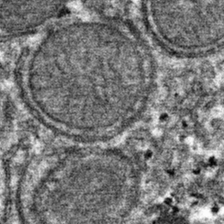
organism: Mouse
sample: Mouse hepatocytes